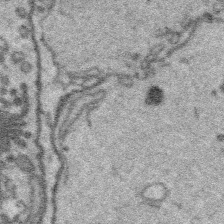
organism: Platynereis dumerilii